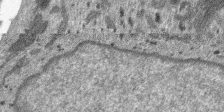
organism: Human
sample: Lung epithelial cells infected with SARS-CoV-2